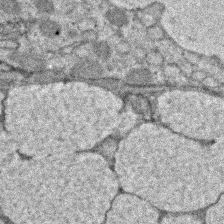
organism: Zebrafish